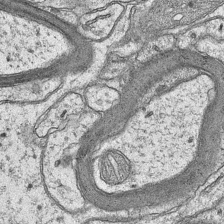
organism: Mouse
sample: CA1 Hippocampus